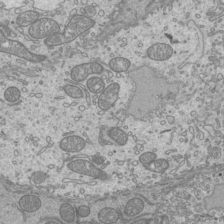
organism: Mouse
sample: Cilia; mouse epididymis